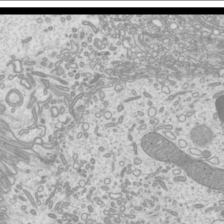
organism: Mouse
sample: Cilia; mouse epididymis